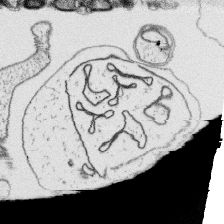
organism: Platynereis dumerilii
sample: Parapodia